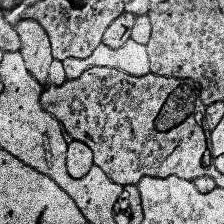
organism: Human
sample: Temporal Lobe